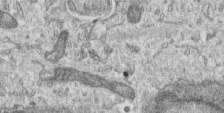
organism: Human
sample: Centriole in RPE cells